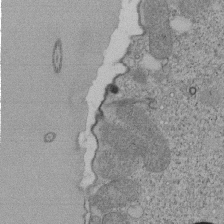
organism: Tetrahymena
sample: Cilia in tetrahymena